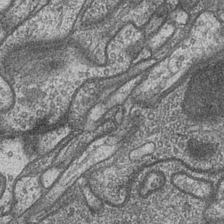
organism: Drosophila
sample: Optic medulla